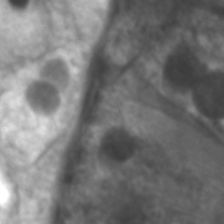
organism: C. elegans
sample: Pharynx